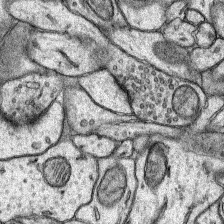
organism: Rat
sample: Hippocampus